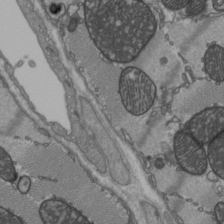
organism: C57BL Mouse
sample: Heart